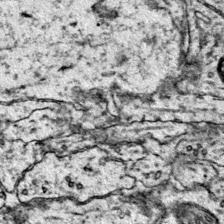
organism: Mouse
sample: Primary visual cortex